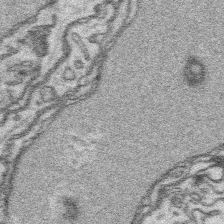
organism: Platynereis dumerilii